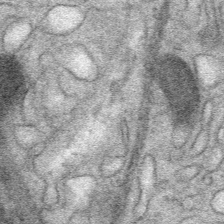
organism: Mouse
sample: Mouse Salivary gland